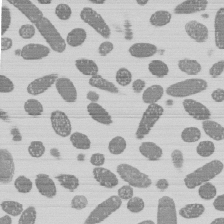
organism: E. coli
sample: Bacterial nucleoid